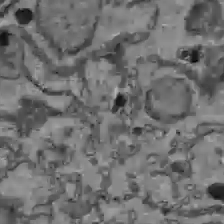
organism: C57BL Mouse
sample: Liver